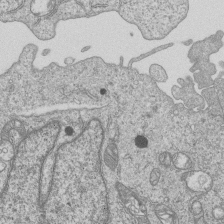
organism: Human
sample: MDA-MB-231 cells